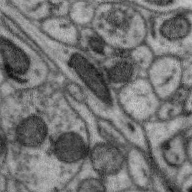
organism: Zebra finch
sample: Brain